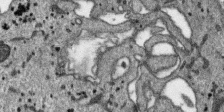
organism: Human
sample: Lung epithelial cells, uninfected (mock) control